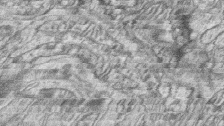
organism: Zebrafish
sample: synaptic ribbons in rod cells and cone cells